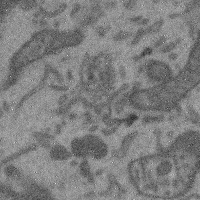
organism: Mouse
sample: Cerebral cortex